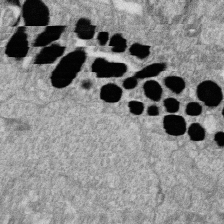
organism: Zebrafish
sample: Cilia; retinal pigment epithelium